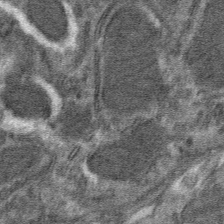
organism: Mouse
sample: Mouse hepatocytes